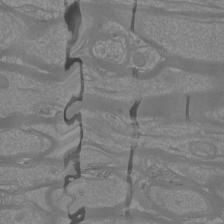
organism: Mouse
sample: Cortical neurons